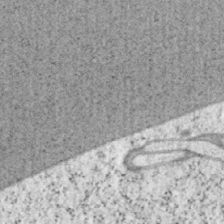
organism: Mouse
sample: OT-I killer T cells with ID8 ovarian cancer cells